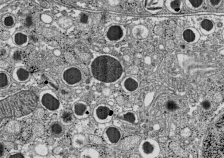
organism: C57BL Mouse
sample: Pancreatic islet